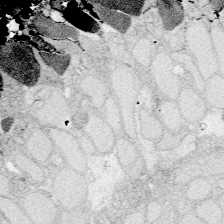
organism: Zebrafish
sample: Whole-Brain